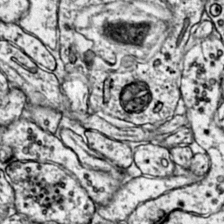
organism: Mouse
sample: Primary visual cortex